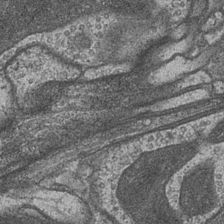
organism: Drosophila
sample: Optic medulla